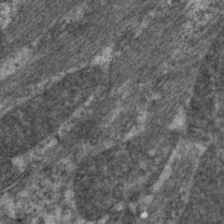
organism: C. elegans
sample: Pharynx